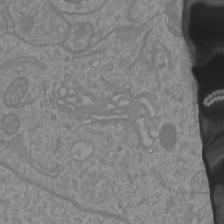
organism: Mouse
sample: Cortical neurons